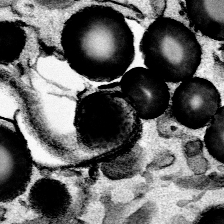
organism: Mouse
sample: Cancer cell death in ED-1 cells